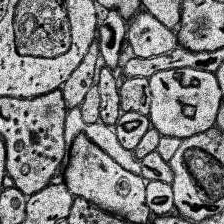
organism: Human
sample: Temporal Lobe